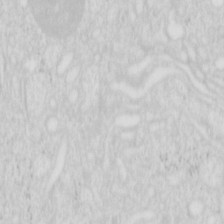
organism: Mouse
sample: Pancreas